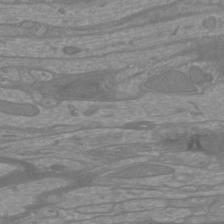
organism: Mouse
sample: Cortical neurons